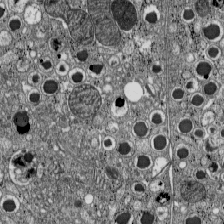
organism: C57BL Mouse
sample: Pancreatic islet